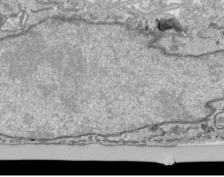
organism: Human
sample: Mitochondria in HCT116 cells